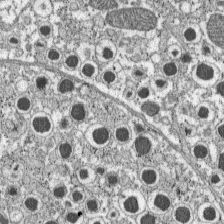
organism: C57BL Mouse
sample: Pancreatic islet